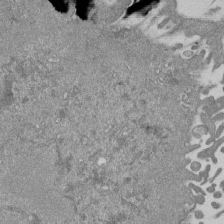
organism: Mouse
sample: ED-1 cell nuclei; centrioles